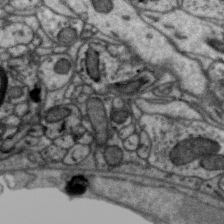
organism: Zebra finch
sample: Brain